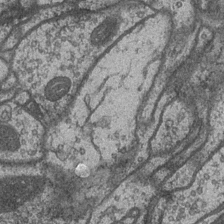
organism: Drosophila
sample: Optic medulla